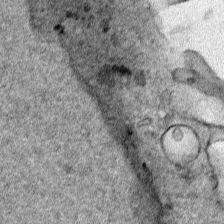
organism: Human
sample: Mitochondria in HCT116 cells